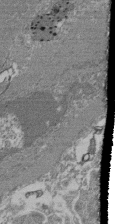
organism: Mouse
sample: Glomerulus